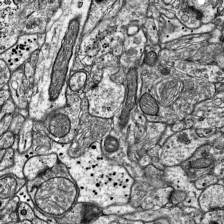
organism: Mouse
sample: Visual Cortex